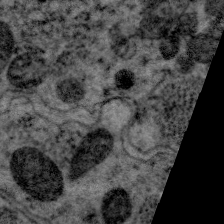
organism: C. elegans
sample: Pharynx